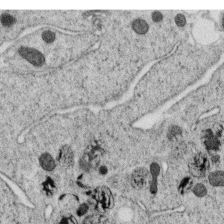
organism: C. elegans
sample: C. elegans oocyte; sperm cells